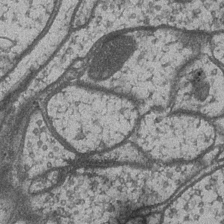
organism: Drosophila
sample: Optic medulla